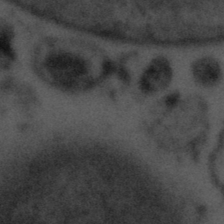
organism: Tuwongella immobilis